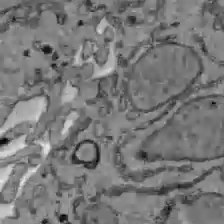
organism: C57BL Mouse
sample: Liver